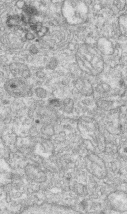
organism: Human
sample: HeLa cell HIV synapse